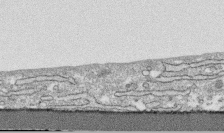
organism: Human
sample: CRL-1474